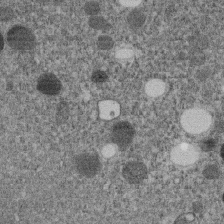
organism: C. elegans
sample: C. elegans embryo early stage